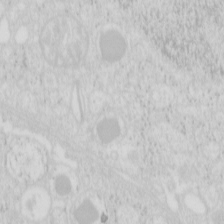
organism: Mouse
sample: Pancreas